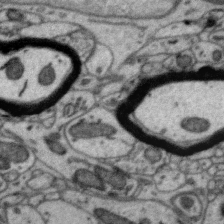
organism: Zebra finch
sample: Brain